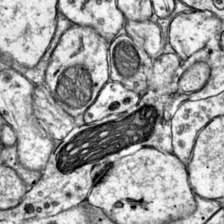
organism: Mouse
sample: Primary visual cortex